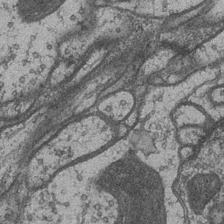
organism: Drosophila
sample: Optic medulla